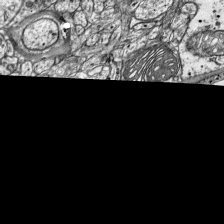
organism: Mouse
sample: Visual Cortex